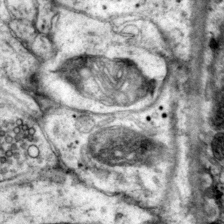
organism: Mouse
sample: Primary visual cortex